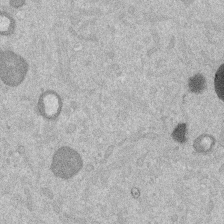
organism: Mouse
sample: Dividing mouse embryo 1 cell stage